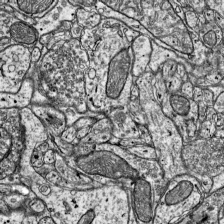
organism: Mouse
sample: Visual Cortex